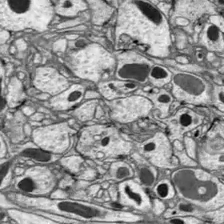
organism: Drosophila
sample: Optic lobe